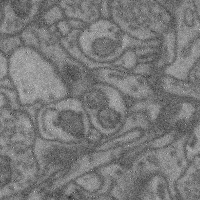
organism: Mouse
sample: Cerebral cortex